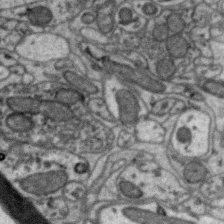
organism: Zebra finch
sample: Brain